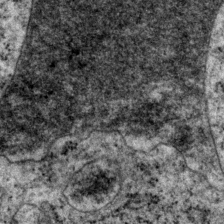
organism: P. pacificus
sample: Pharynx